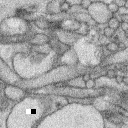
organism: Rabbit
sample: Retina